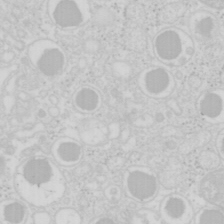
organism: Mouse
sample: Pancreas